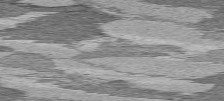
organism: C57BL Mouse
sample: Heart